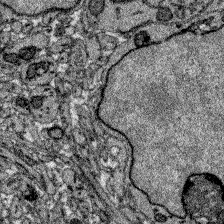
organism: Zebrafish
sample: Larval olfactory bulb